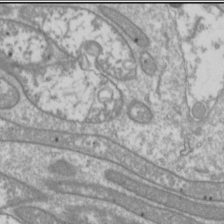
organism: Drosophila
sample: Cell division; meiosis; drosophila spermatocytes